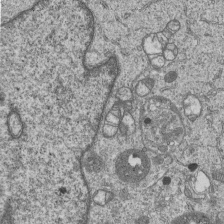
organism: Human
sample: MDA-MB-231 cells